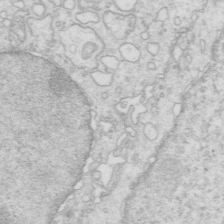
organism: Mouse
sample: Multiciliated cells